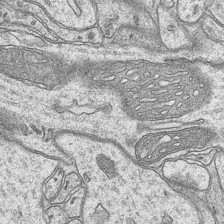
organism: Mouse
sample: CA1 Hippocampus